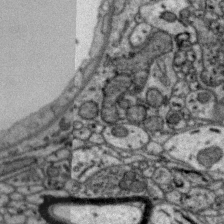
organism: Zebra finch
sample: Brain